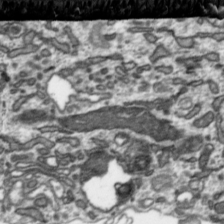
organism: Toxoplasma gondii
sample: Parasites in a vacuole inside a host cell